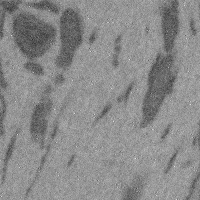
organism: Mouse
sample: Cerebral cortex